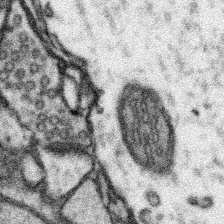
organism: Mouse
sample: Somatosensory cortex neuropil